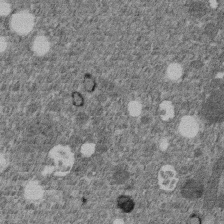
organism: C. elegans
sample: C. elegans embryo early stage